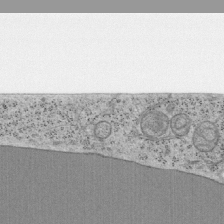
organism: Human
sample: HeLa cells